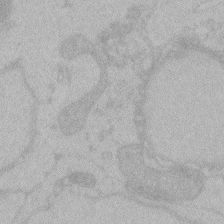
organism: Zebrafish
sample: Macrophage infected with Toxoplasma gondii